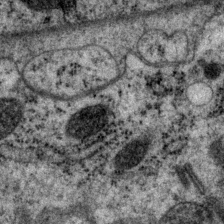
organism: P. pacificus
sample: Pharynx